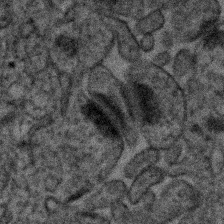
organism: Human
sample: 1205lu cells